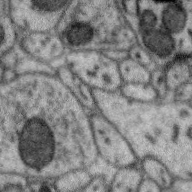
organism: Zebra finch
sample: Brain